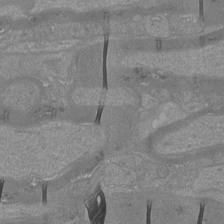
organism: Mouse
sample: Cortical neurons